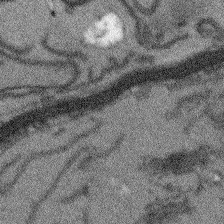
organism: Arabidopsis thaliana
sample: Root tip